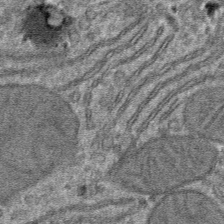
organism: Mouse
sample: Mouse hepatocytes